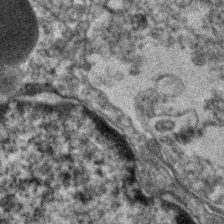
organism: Human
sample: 1205lu cells